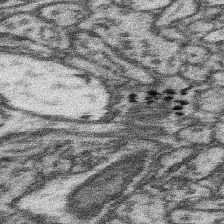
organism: Mouse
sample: Somatosensory cortex neuropil